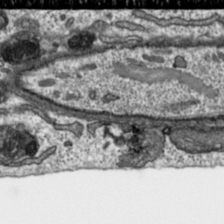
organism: Toxoplasma gondii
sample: Parasites in a vacuole inside a host cell